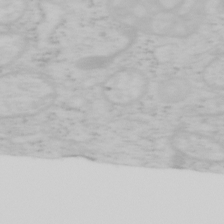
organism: Mouse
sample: OT-I killer T cells with ID8 ovarian cancer cells